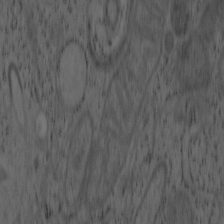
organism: Human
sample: HeLa cells